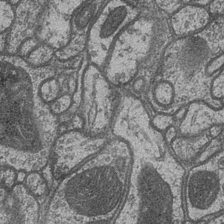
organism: Drosophila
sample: Optic medulla